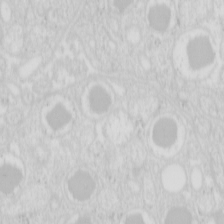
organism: Mouse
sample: Pancreas